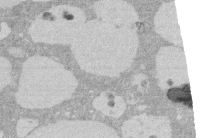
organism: Rat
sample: Salivary granule